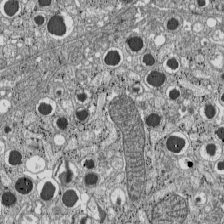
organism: C57BL Mouse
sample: Pancreatic islet